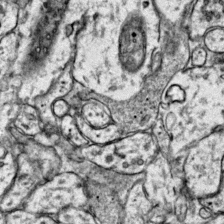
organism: Mouse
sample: Primary visual cortex